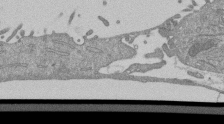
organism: Mouse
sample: ED-1 cell nuclei; centrioles